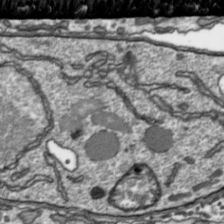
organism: Toxoplasma gondii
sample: Parasites in a vacuole inside a host cell